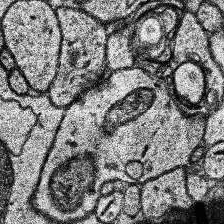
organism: Human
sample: Temporal Lobe